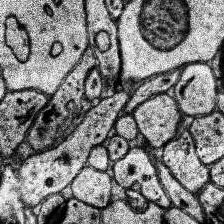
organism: Human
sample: Temporal Lobe